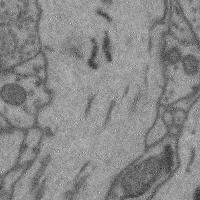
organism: Mouse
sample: Cerebral cortex